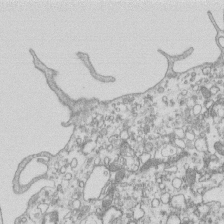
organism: Mouse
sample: Macrophages